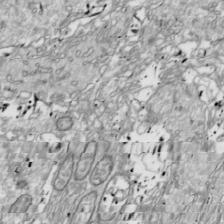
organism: Drosophila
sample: Cell division; meiosis; drosophila spermatocytes